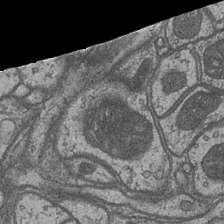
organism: Drosophila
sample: Optic medulla